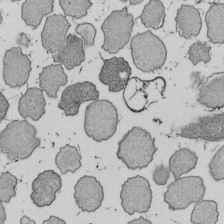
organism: E. coli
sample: Bacterial nucleoid